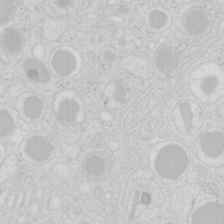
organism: Mouse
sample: Pancreas